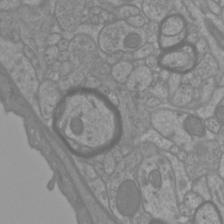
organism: Mouse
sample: Cortical neurons